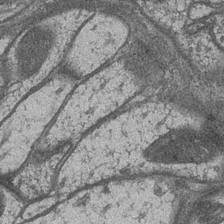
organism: Drosophila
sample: Optic medulla